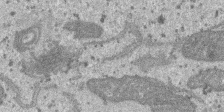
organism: Human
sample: Lung epithelial cells infected with SARS-CoV-2